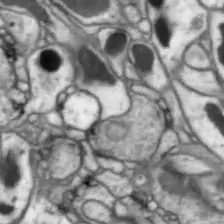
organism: Drosophila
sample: Optic lobe